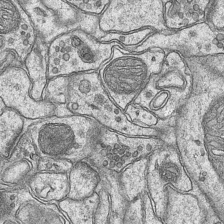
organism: Mouse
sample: CA1 Hippocampus